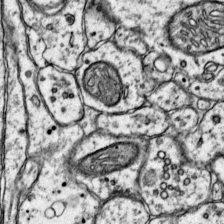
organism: Mouse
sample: Primary visual cortex